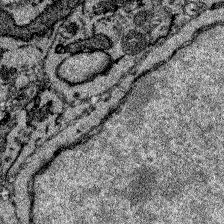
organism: Zebrafish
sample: Larval olfactory bulb